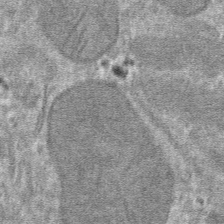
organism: Mouse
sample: Mouse hepatocytes